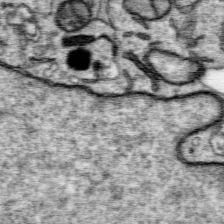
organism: Human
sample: HeLa cells